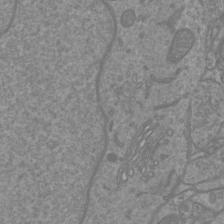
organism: Mouse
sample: Cortical neurons